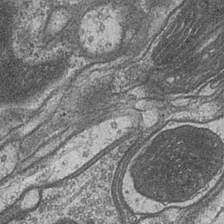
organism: Drosophila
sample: Optic medulla